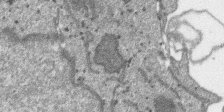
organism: Human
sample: Lung epithelial cells infected with SARS-CoV-2